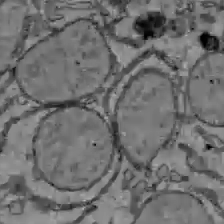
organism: C57BL Mouse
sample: Liver